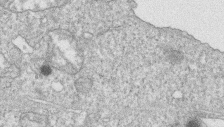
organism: Human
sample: HeLa cell HIV synapse